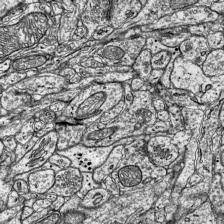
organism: Mouse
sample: Visual Cortex